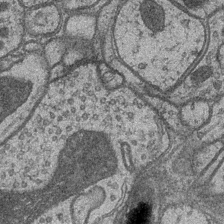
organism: Drosophila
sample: Optic medulla